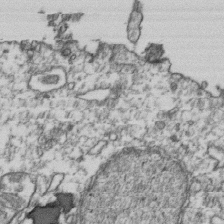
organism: Human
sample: Activated Jurkat CD4+ T cells